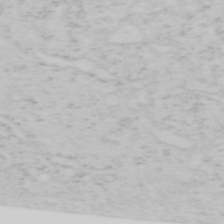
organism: Mouse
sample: OT-I killer T cells with ID8 ovarian cancer cells